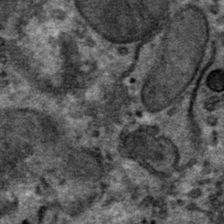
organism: Mouse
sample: Mouse hepatocytes